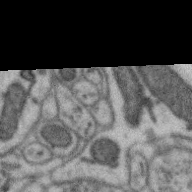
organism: Zebra finch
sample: Brain